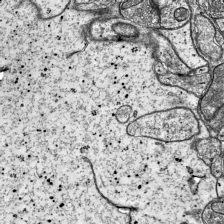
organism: Mouse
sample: Visual Cortex